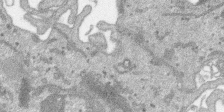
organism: Human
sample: Lung epithelial cells infected with SARS-CoV-2